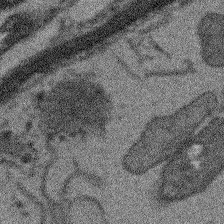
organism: Arabidopsis thaliana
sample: Root tip